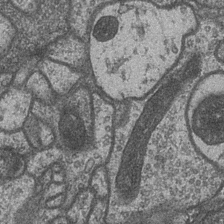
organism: Drosophila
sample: Optic medulla